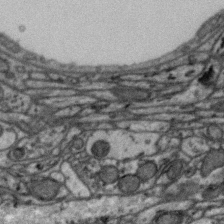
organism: Zebra finch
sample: Brain